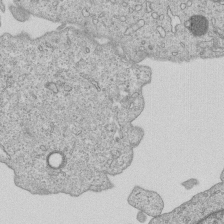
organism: Human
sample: MDA-MB-231 cells